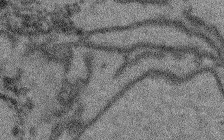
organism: Arabidopsis thaliana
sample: Root tip